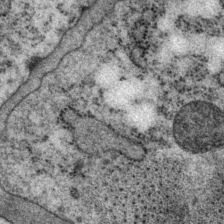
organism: P. pacificus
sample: Pharynx